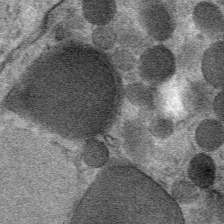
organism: Mouse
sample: Mouse Salivary gland